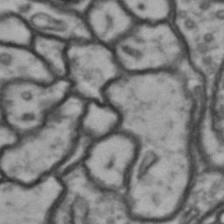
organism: Drosophila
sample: Brain